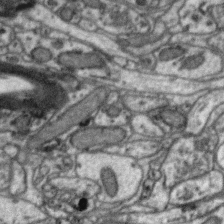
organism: Zebra finch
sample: Brain